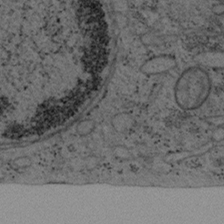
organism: Human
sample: HeLa cells